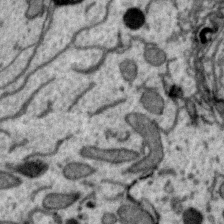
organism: Zebra finch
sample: Brain